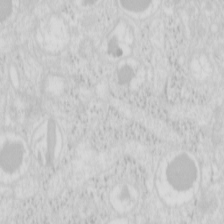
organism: Mouse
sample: Pancreas